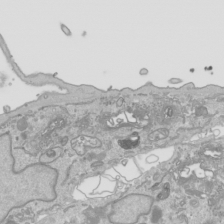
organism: Human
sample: Mitochondria in HCT116 cells